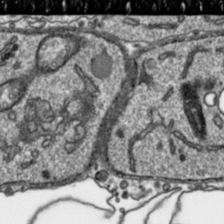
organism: Toxoplasma gondii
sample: Parasites in a vacuole inside a host cell